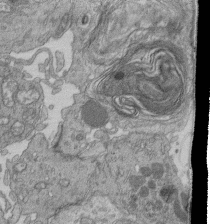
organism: Human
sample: Retinal organoid Rod and Cone cells